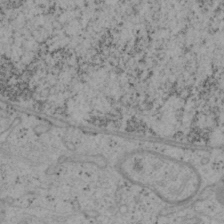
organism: Human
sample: HeLa cells